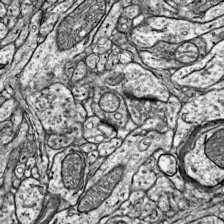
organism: Mouse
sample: Visual Cortex